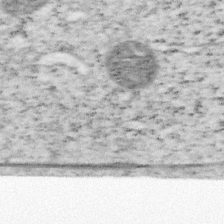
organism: Mouse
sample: OT-I killer T cells with ID8 ovarian cancer cells